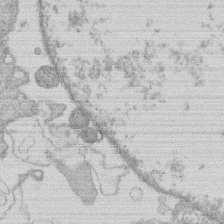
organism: Human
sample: Macrophage cells